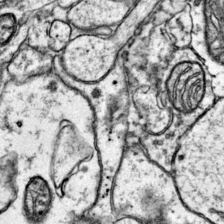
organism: Mouse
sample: Primary visual cortex